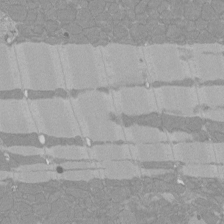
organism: Rat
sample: Left ventricle